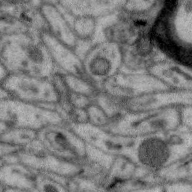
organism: Zebra finch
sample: Brain